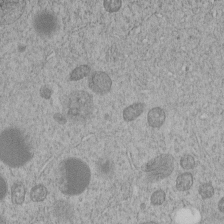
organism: C. elegans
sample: C. elegans embryo early stage